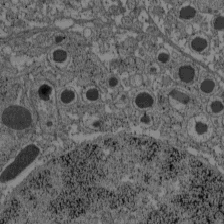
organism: C57BL Mouse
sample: Pancreatic islet